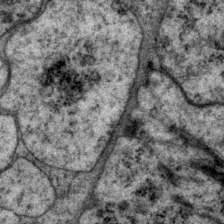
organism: P. pacificus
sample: Pharynx